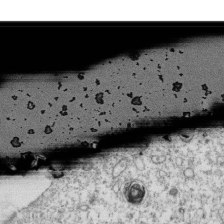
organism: Mouse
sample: Activated OT-1 CD8+ T cells